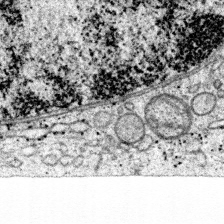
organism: Human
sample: HeLa cells